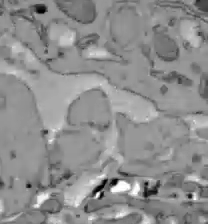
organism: C57BL Mouse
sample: Liver